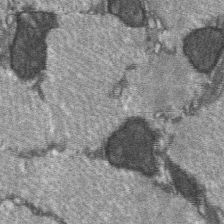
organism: C57BL Mouse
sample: Soleus